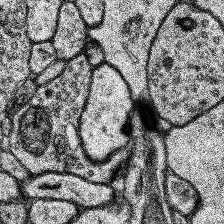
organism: Human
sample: Temporal Lobe